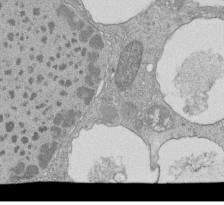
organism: Tetrahymena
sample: Cilia in tetrahymena